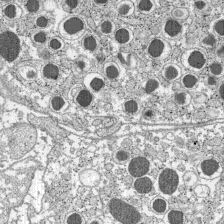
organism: C57BL Mouse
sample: Pancreatic islet